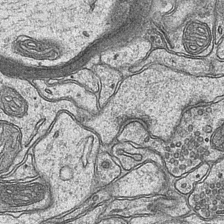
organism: Mouse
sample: CA1 Hippocampus